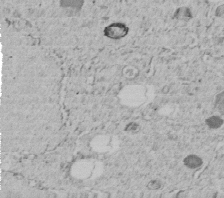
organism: C. elegans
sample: C. elegans embryo early stage